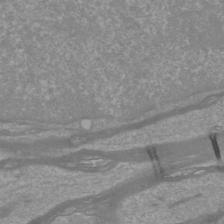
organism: Mouse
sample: Cortical neurons